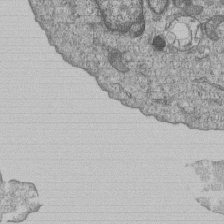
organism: Human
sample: MDA-MB-231 cells